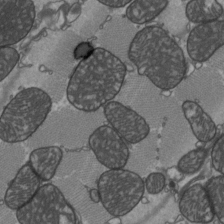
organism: C57BL Mouse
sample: Heart